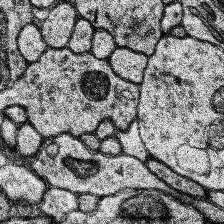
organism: Human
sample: Temporal Lobe